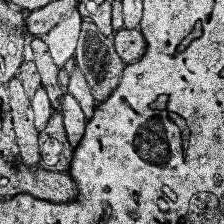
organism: Human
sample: Temporal Lobe